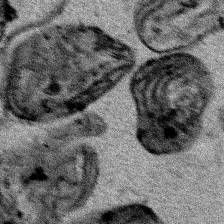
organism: Human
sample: Mitochondria in HCT116 cells